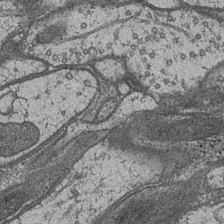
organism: Drosophila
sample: Optic medulla